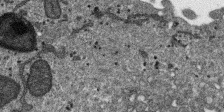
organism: Human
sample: Lung epithelial cells infected with SARS-CoV-2